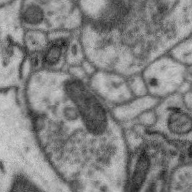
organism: Zebra finch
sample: Brain